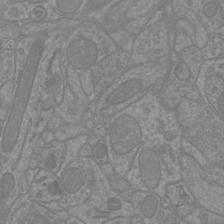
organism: Mouse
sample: Cortical neurons